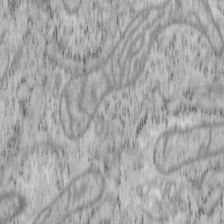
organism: Human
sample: HeLa cells